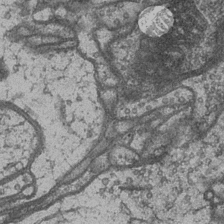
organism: Drosophila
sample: Optic medulla